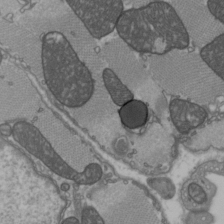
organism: C57BL Mouse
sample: Heart